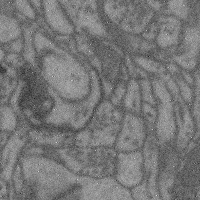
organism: Mouse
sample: Cerebral cortex